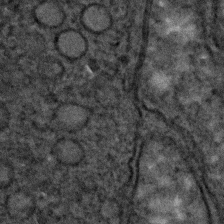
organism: C. elegans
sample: C. elegans embryo